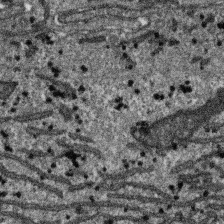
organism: Human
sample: Lung epithelial cells infected with SARS-CoV-2